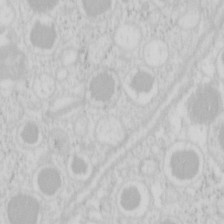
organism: Mouse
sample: Pancreas